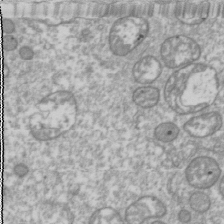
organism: Drosophila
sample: Cell division; meiosis; drosophila spermatocytes